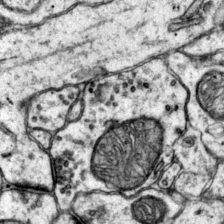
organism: Mouse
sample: Primary visual cortex